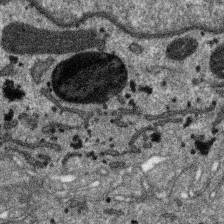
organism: Human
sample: Lung epithelial cells infected with SARS-CoV-2